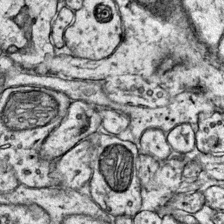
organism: Mouse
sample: Primary visual cortex